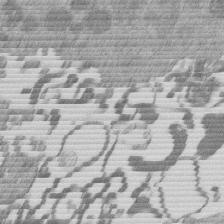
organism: Mouse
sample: Dividing mouse embryo 1 cell stage